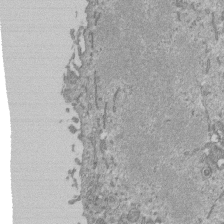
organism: Mouse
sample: ED-1 cell nuclei; centrioles